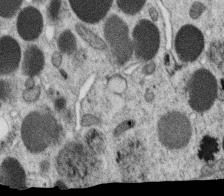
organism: C. elegans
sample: C. elegans oocyte; sperm cells